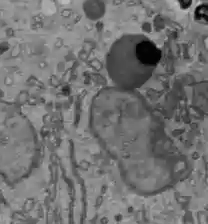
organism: C57BL Mouse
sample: Liver